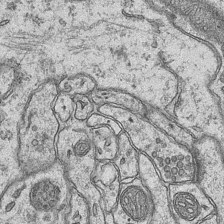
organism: Mouse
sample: CA1 Hippocampus